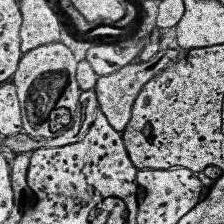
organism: Human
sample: Temporal Lobe